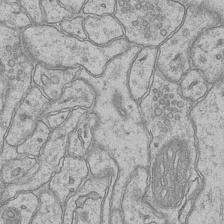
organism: Mouse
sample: CA1 Hippocampus